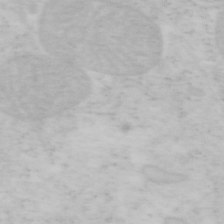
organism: Mouse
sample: OT-I killer T cells with ID8 ovarian cancer cells